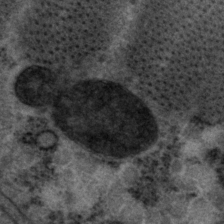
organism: P. pacificus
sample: Pharynx